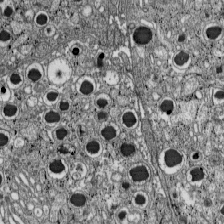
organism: C57BL Mouse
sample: Pancreatic islet